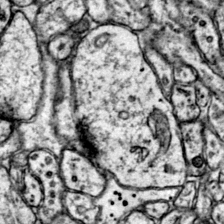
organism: Mouse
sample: Primary visual cortex